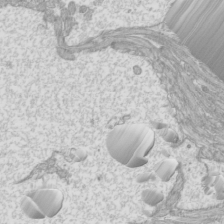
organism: Mouse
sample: Cilia; mouse epididymis